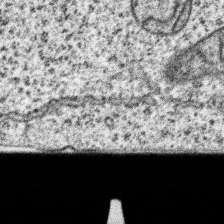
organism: Human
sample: HeLa cells